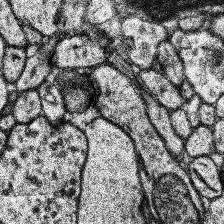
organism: Human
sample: Temporal Lobe